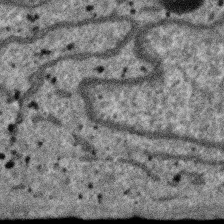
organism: Human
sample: Lung epithelial cells infected with SARS-CoV-2